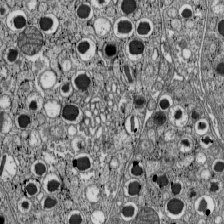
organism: C57BL Mouse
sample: Pancreatic islet